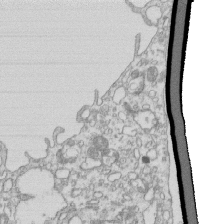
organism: Mouse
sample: Macrophages